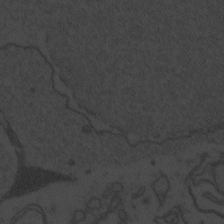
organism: Zebrafish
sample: Macrophage infected with Toxoplasma gondii